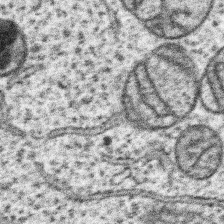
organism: Human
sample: HeLa cells